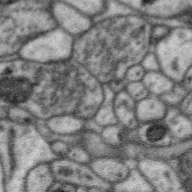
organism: Zebra finch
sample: Brain